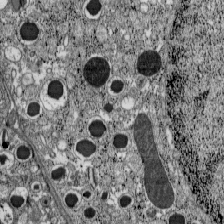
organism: C57BL Mouse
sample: Pancreatic islet